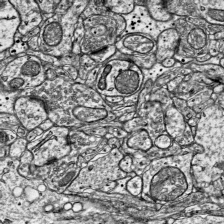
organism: Mouse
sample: Visual Cortex